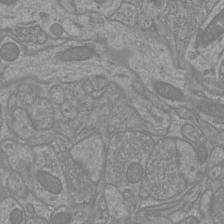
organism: Mouse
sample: Cortical neurons